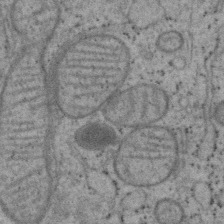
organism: Human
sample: HeLa cells